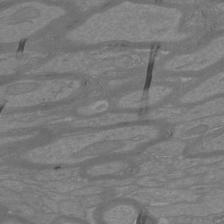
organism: Mouse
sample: Cortical neurons